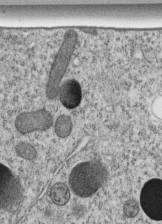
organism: C. elegans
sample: C. elegans embryo early stage